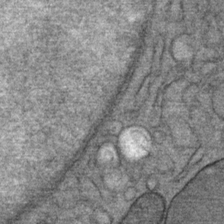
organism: Mouse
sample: Mouse Salivary gland